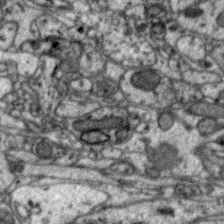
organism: Zebra finch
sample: Brain